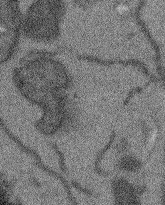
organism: Arabidopsis thaliana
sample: Root tip